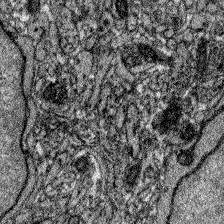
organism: Zebrafish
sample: Larval olfactory bulb